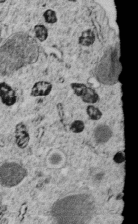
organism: C. elegans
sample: C. elegans embryo early stage